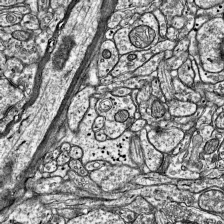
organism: Mouse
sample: Visual Cortex